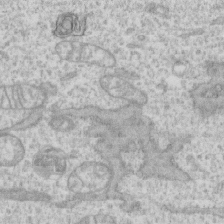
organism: Human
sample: CRL-1474